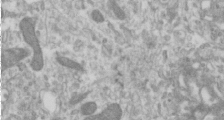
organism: Human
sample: Cilia; basal body in RPE cells